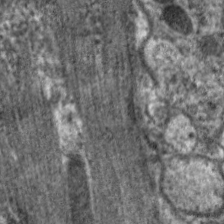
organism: C. elegans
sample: Pharynx